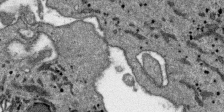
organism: Human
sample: Lung epithelial cells, uninfected (mock) control